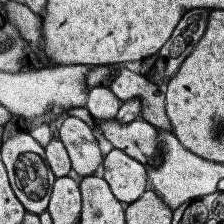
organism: Human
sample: Temporal Lobe